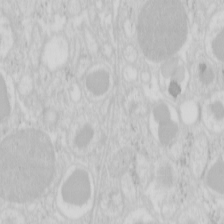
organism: Mouse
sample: Pancreas